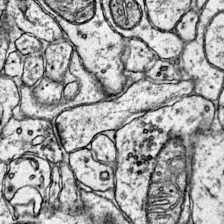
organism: Mouse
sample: Primary visual cortex